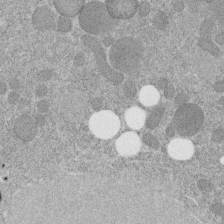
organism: C. elegans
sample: C. elegans embryo early stage